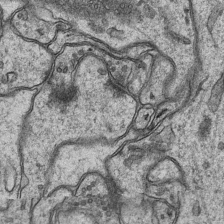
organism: Mouse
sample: CA1 Hippocampus